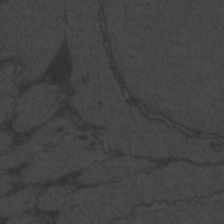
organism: Zebrafish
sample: Macrophage infected with Toxoplasma gondii